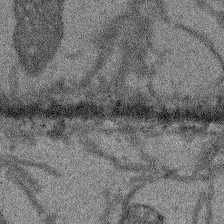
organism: Arabidopsis thaliana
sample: Root tip